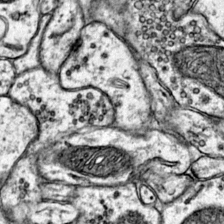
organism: Mouse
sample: Primary visual cortex